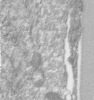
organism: Human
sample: Centriole in RPE cells